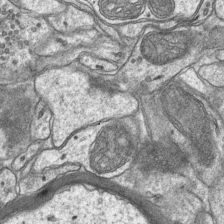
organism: Mouse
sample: CA1 Hippocampus